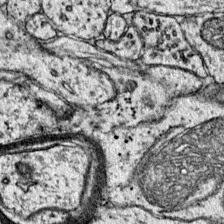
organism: Mouse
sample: Primary visual cortex